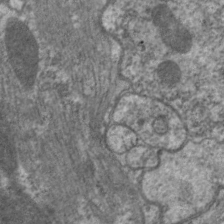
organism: C. elegans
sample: Pharynx